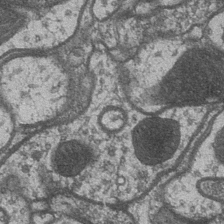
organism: Drosophila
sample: Optic medulla